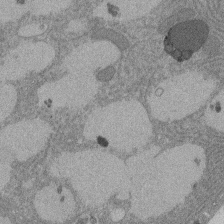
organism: Rat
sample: Salivary granule